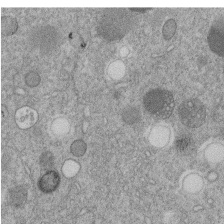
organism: C. elegans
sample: C. elegans embryo early stage